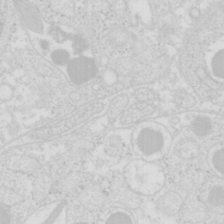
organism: Mouse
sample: Pancreas